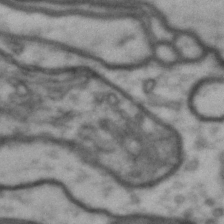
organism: Drosophila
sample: Brain